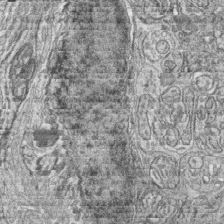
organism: Zebrafish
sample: synaptic ribbons in rod cells and cone cells